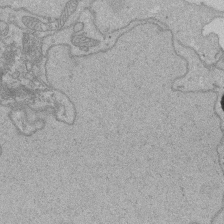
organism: Human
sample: Activated Jurkat CD4+ T cells